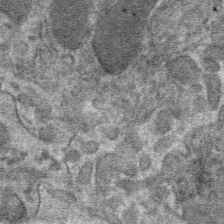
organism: Mouse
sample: Mouse hepatocytes